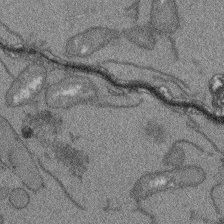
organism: Arabidopsis thaliana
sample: Root tip